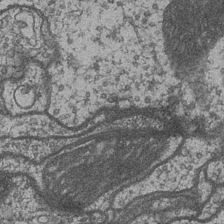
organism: Drosophila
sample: Optic medulla